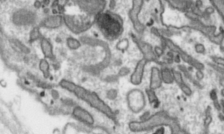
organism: Toxoplasma gondii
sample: Parasites in a vacuole inside a host cell